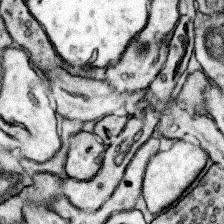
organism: Mouse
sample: Somatosensory cortex neuropil